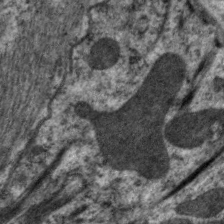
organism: C. elegans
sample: Pharynx